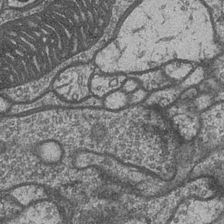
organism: Drosophila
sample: Optic medulla